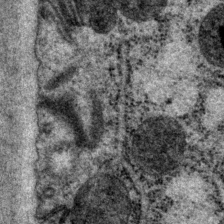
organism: P. pacificus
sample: Pharynx